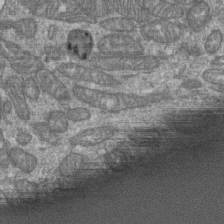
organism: Human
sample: Retinal organoid Rod and Cone cells